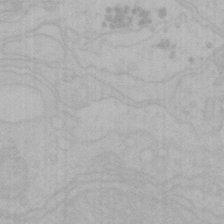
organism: Mouse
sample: Choroid plexus